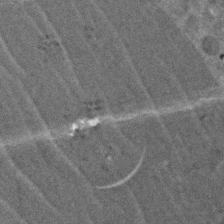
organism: Zebrafish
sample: Zebrafish embryo